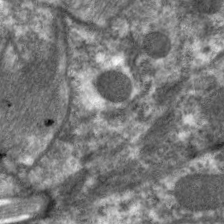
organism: C. elegans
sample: Pharynx